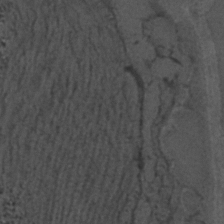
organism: C. elegans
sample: C. elegans embryo